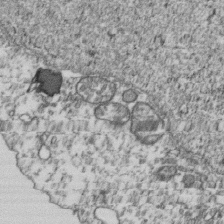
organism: Human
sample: Activated Jurkat CD4+ T cells